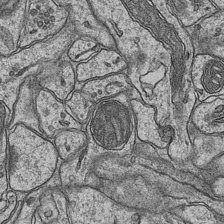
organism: Mouse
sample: CA1 Hippocampus